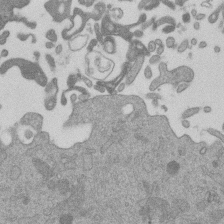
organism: Mouse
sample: Dividing mouse embryo 1 cell stage